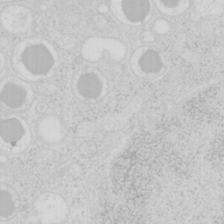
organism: Mouse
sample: Pancreas